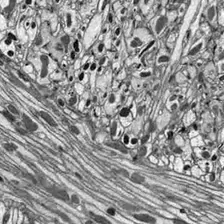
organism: Drosophila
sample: Optic lobe